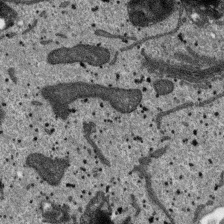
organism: Human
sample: Lung epithelial cells, uninfected (mock) control